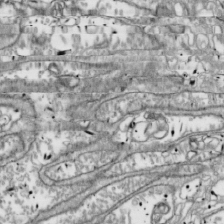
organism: Drosophila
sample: Cell division; meiosis; drosophila spermatocytes